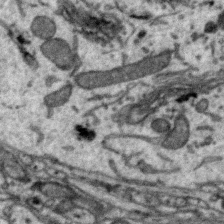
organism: Zebra finch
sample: Brain